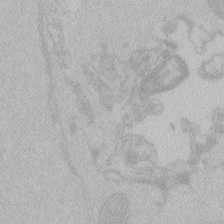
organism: Zebrafish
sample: Macrophage infected with Toxoplasma gondii